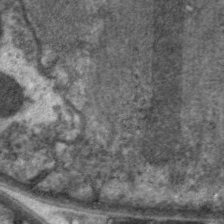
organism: C. elegans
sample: Pharynx